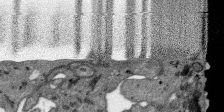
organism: Human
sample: Lung epithelial cells, uninfected (mock) control